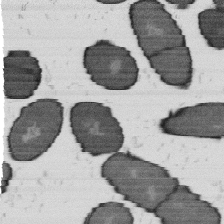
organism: B. subtilis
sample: Bacterial spore